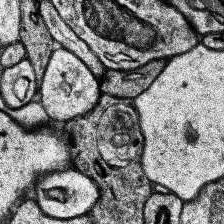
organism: Human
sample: Temporal Lobe